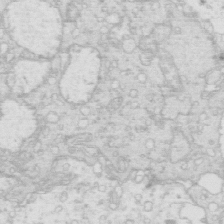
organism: Mouse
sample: Multiciliated cells